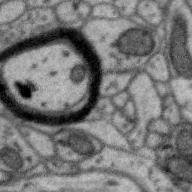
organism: Zebra finch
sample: Brain